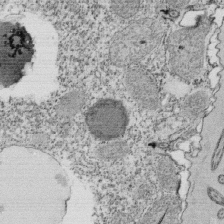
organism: Tetrahymena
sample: Cilia in tetrahymena